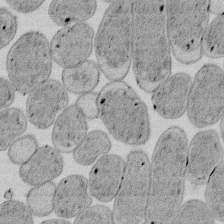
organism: E. coli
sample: Bacterial nucleoid